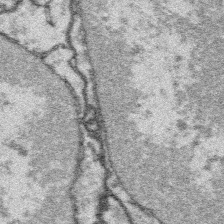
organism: Platynereis dumerilii